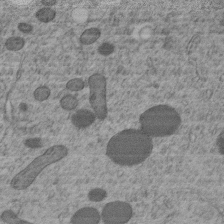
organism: C. elegans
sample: C. elegans embryo early stage